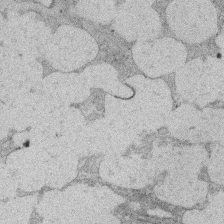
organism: Rat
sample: Salivary granule